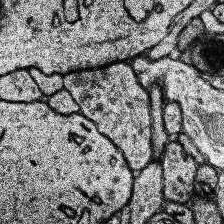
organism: Human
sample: Temporal Lobe